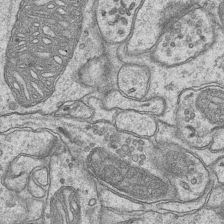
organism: Mouse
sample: CA1 Hippocampus